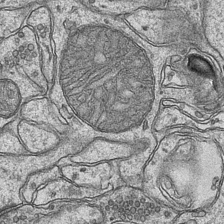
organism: Mouse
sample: CA1 Hippocampus